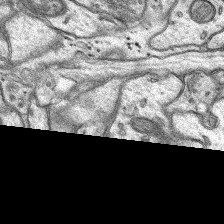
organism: Rat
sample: Hippocampus